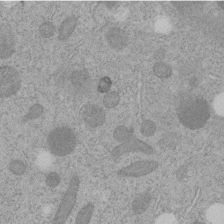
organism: C. elegans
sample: C. elegans embryo early stage